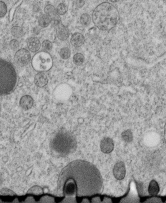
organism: C. elegans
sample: C. elegans embryo early stage